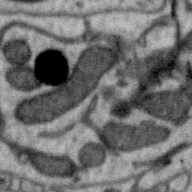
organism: Zebra finch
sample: Brain